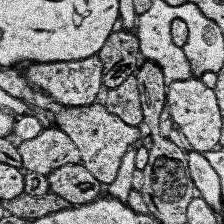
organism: Human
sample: Temporal Lobe